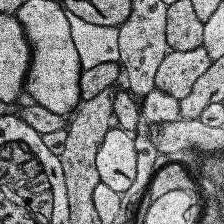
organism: Human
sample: Temporal Lobe